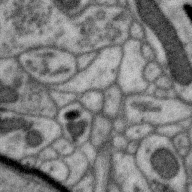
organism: Zebra finch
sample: Brain